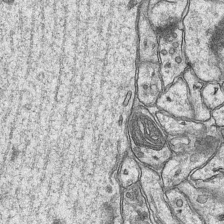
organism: Mouse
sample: CA1 Hippocampus